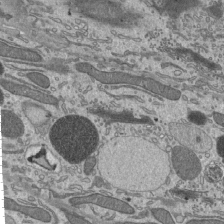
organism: Mouse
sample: Mouse epididymis efferent ductule cilia